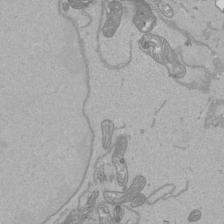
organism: Human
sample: Mitochondria in HCT116 cells